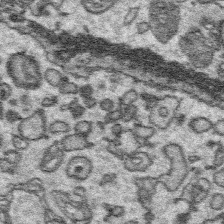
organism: Platynereis dumerilii